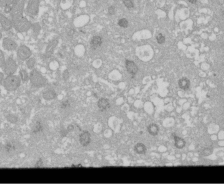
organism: Xenopus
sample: Cilia; centrioles in frog embryo cells